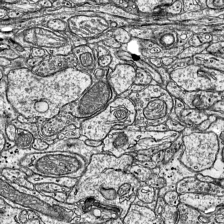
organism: Mouse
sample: Visual Cortex